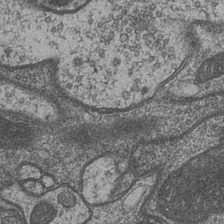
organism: Drosophila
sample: Optic medulla